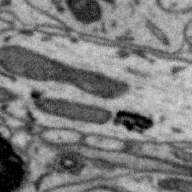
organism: Zebra finch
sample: Brain